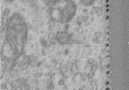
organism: Human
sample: Centriole in RPE cells